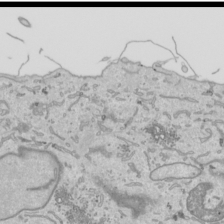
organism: Human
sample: Mitochondria in HCT116 cells